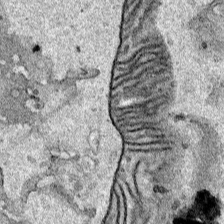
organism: Human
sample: Mitochondria in HCT116 cells